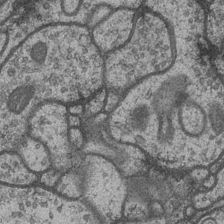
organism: Drosophila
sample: Optic medulla